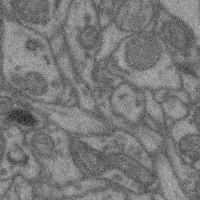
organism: Mouse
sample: Cerebral cortex